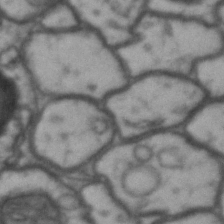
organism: Drosophila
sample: Brain